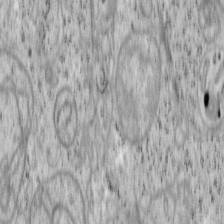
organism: Human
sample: HeLa cells